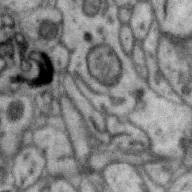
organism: Zebra finch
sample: Brain